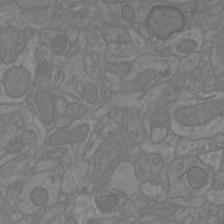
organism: Mouse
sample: Cortical neurons